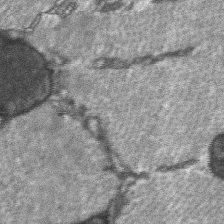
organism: C57BL Mouse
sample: Soleus